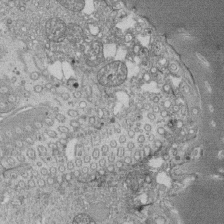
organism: Tetrahymena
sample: Cilia in tetrahymena